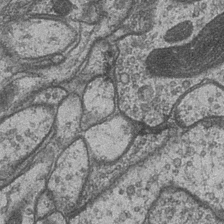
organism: Drosophila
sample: Optic medulla